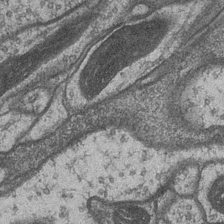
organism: Drosophila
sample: Optic medulla